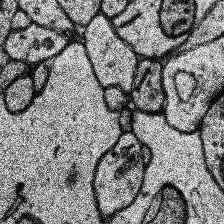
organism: Human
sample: Temporal Lobe